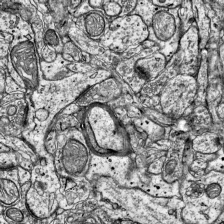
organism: Mouse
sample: Visual Cortex